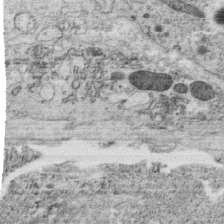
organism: C. elegans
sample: C. elegans oocyte; sperm cells